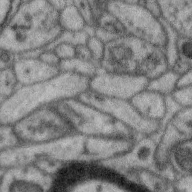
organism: Zebra finch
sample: Brain